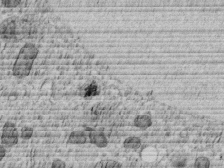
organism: C. elegans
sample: C. elegans embryo early stage